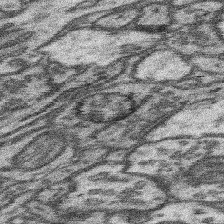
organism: Mouse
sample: Somatosensory cortex neuropil